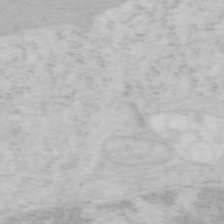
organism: Mouse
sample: OT-I killer T cells with ID8 ovarian cancer cells